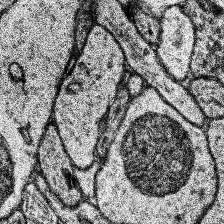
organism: Human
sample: Temporal Lobe